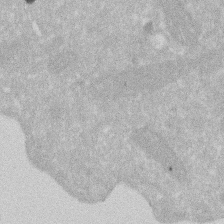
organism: Human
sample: HIV infected U937 cells